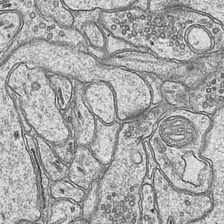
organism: Mouse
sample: CA1 Hippocampus